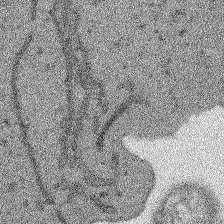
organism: Human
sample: HeLa cells